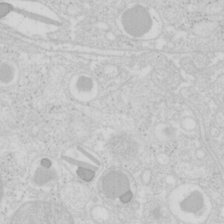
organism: Mouse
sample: Pancreas